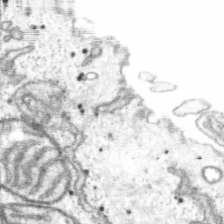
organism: Human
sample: HeLa cells